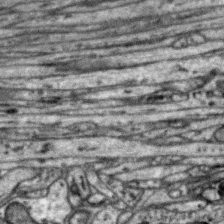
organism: Zebra finch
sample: Brain